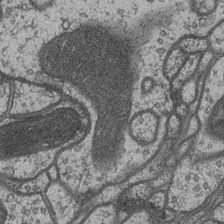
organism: Drosophila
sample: Optic medulla